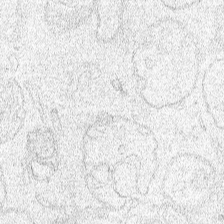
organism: Human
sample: Mitochondria in HCT116 cells